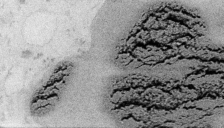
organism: Embia sp.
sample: Silk gland